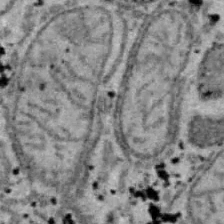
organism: Mouse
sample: Liver from an obese (ob/ob) mouse